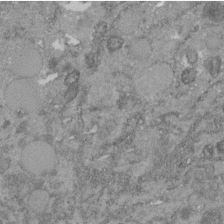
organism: C. elegans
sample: C. elegans embryo early stage